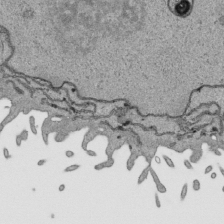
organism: Human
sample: Mitochondria in HCT116 cells